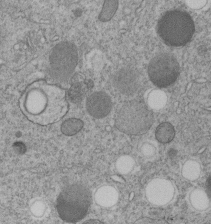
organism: C. elegans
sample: C. elegans embryo early stage